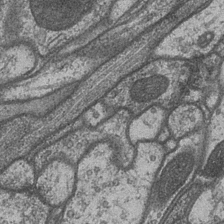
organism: Drosophila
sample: Optic medulla